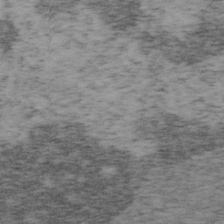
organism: Mouse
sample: OT-I killer T cells with ID8 ovarian cancer cells